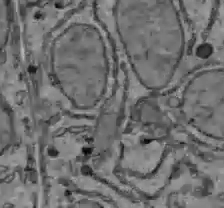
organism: C57BL Mouse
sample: Liver